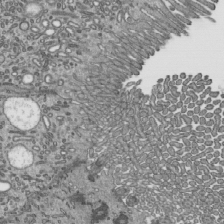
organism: Mouse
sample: Mouse epididymis efferent ductule cilia